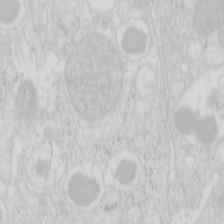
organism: Mouse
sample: Pancreas